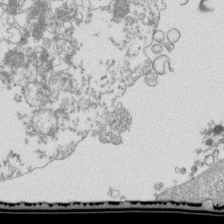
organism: Human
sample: HeLa cell HIV synapse